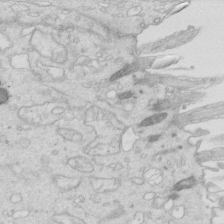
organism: Mouse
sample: Multiciliated cells